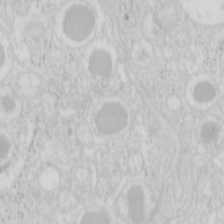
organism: Mouse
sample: Pancreas